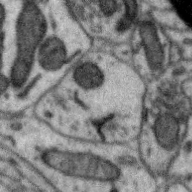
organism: Zebra finch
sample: Brain